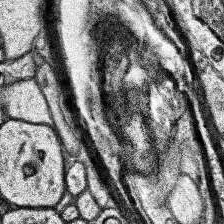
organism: Human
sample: Temporal Lobe